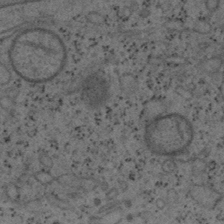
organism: Human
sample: HeLa cells